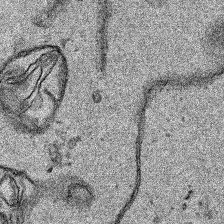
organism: Human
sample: Mitochondria in HCT116 cells